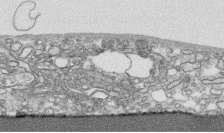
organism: Human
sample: CRL-1474